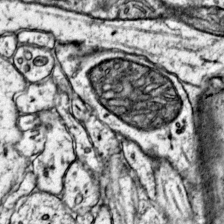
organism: Mouse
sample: Primary visual cortex